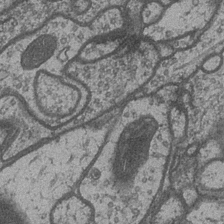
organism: Drosophila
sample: Optic medulla